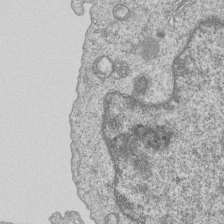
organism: Human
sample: MDA-MB-231 cells